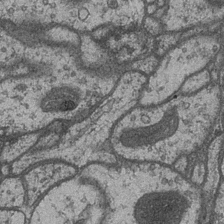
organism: Drosophila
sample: Optic medulla